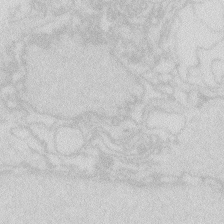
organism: Zebrafish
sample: Macrophage